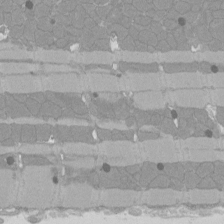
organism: Rat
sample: Left ventricle